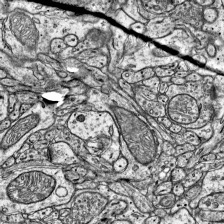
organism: Mouse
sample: Visual Cortex